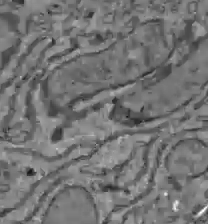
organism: C57BL Mouse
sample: Liver